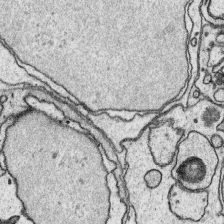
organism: Platynereis dumerilii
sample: Parapodia